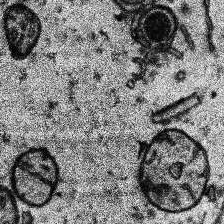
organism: Human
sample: Temporal Lobe